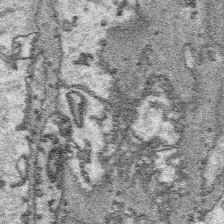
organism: Platynereis dumerilii